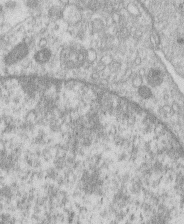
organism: Human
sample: Macrophage cells